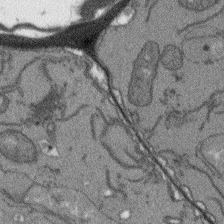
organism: Arabidopsis thaliana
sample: Root tip